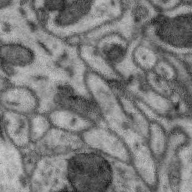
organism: Zebra finch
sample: Brain